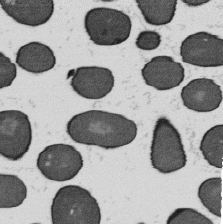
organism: B. subtilis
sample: Bacterial spore